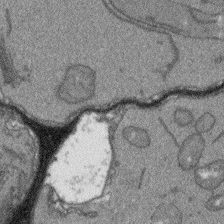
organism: Arabidopsis thaliana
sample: Root tip